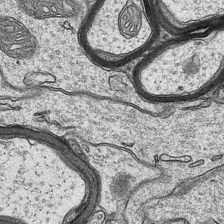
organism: Mouse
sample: CA1 Hippocampus